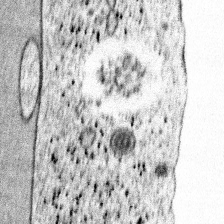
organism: Human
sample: HeLa cells